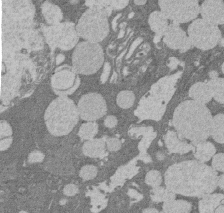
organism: Rat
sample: Salivary granule